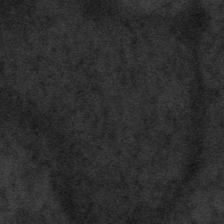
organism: Tuwongella immobilis